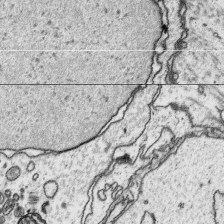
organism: Platynereis dumerilii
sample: Parapodia